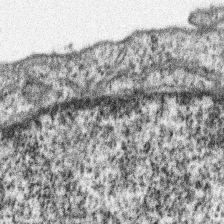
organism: Human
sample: HeLa cells